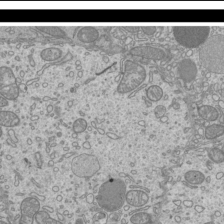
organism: Mouse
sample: Cilia; mouse epididymis